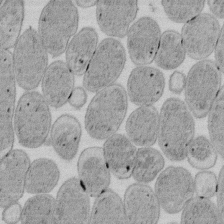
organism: E. coli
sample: Bacterial nucleoid